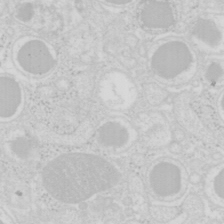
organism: Mouse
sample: Pancreas